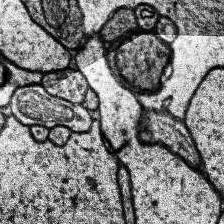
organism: Human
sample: Temporal Lobe